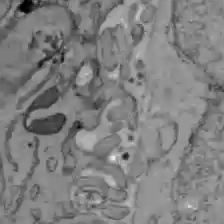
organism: C57BL Mouse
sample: Liver